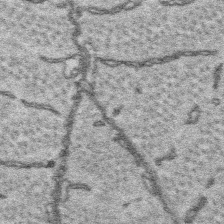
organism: Platynereis dumerilii